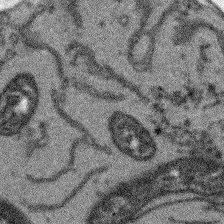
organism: Arabidopsis thaliana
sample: Root tip